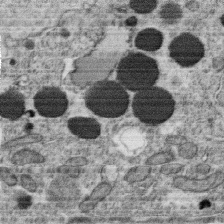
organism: C. elegans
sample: C. elegans oocyte; sperm cells